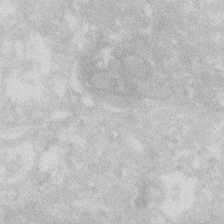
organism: Zebrafish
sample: Macrophage